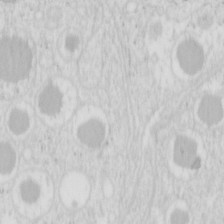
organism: Mouse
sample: Pancreas